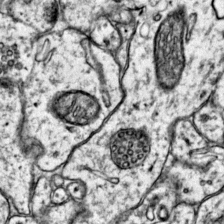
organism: Mouse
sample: Primary visual cortex